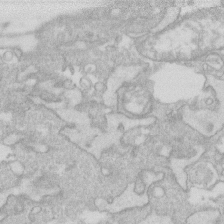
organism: Human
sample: Fibroblast cells